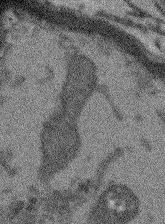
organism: Arabidopsis thaliana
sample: Root tip